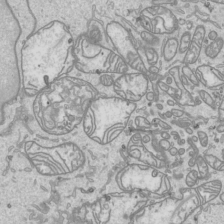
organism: Human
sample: Mitochondria in HCT116 cells